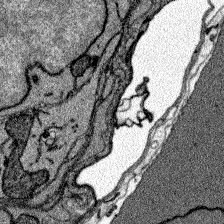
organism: Zebrafish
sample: Larval olfactory bulb